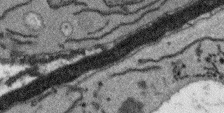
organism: Arabidopsis thaliana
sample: Root tip